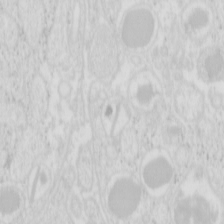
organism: Mouse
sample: Pancreas